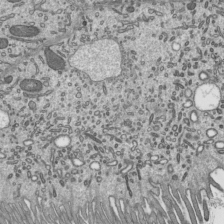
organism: Mouse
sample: Mouse epididymis efferent ductule cilia